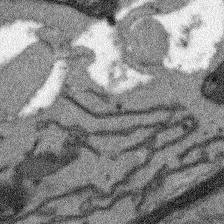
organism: Arabidopsis thaliana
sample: Root tip